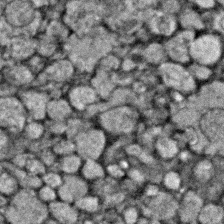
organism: Zebrafish